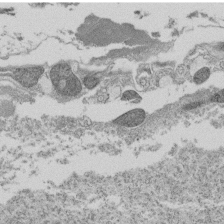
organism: Tetrahymena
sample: Cilia in tetrahymena